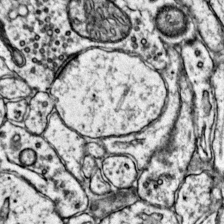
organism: Mouse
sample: Primary visual cortex